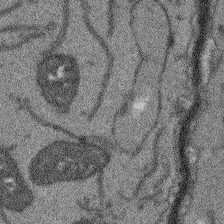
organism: Arabidopsis thaliana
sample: Root tip